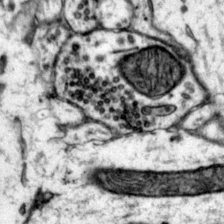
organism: Mouse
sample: Primary visual cortex